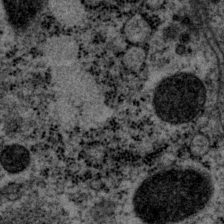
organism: P. pacificus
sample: Pharynx